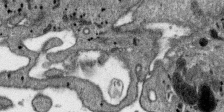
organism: Human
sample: Lung epithelial cells, uninfected (mock) control